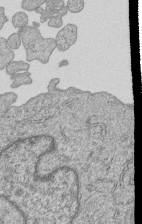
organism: Human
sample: MDA-MB-231 cells